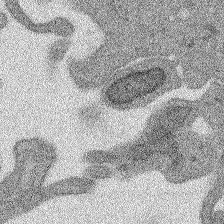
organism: Human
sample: HeLa cells